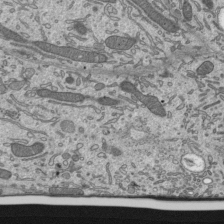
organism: Mouse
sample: Mouse epididymis efferent ductule cilia